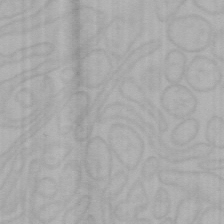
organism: Mouse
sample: Choroid plexus